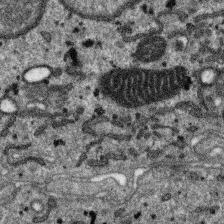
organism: Human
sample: Lung epithelial cells infected with SARS-CoV-2